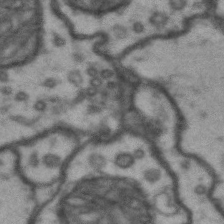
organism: Drosophila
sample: Brain